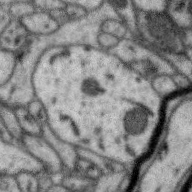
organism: Zebra finch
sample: Brain